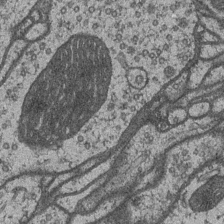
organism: Drosophila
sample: Optic medulla